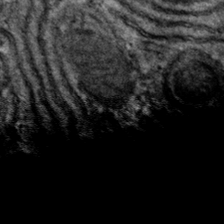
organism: Mouse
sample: Mouse hepatocytes